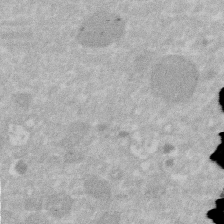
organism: Human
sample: HIV infected U937 cells